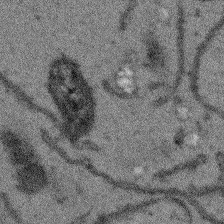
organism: Arabidopsis thaliana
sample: Root tip